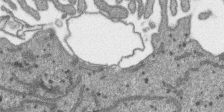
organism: Human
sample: Lung epithelial cells infected with SARS-CoV-2